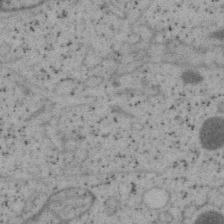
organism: Human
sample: HeLa cells